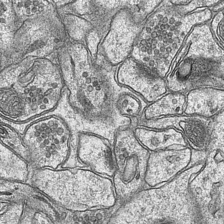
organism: Mouse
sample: CA1 Hippocampus